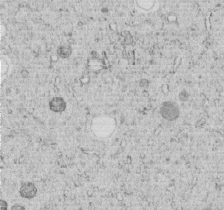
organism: C. elegans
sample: C. elegans embryo early stage